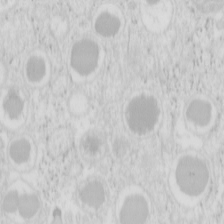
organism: Mouse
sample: Pancreas